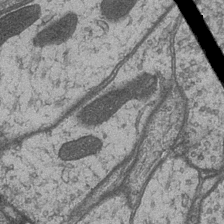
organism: Drosophila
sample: Optic medulla